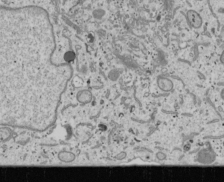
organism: Human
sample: Mitochondria in U2OS cells